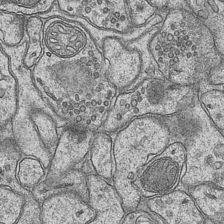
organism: Mouse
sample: CA1 Hippocampus